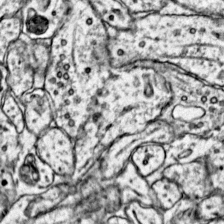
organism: Mouse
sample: Primary visual cortex